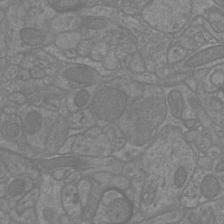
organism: Mouse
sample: Cortical neurons